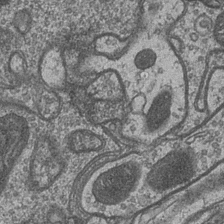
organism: Drosophila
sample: Optic medulla